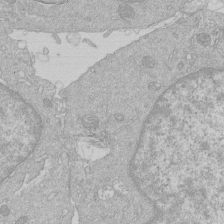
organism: Human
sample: Macrophage cells